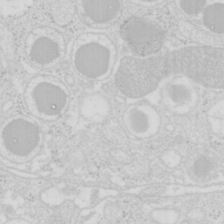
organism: Mouse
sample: Pancreas